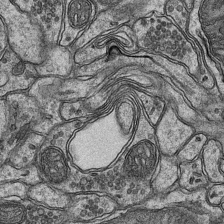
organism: Mouse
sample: CA1 Hippocampus